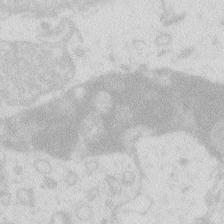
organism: Zebrafish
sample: Macrophage